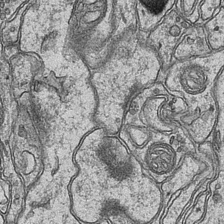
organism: Mouse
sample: CA1 Hippocampus